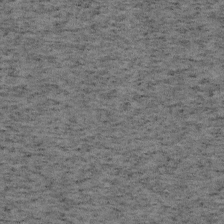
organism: Mouse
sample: OT-I killer T cells with ID8 ovarian cancer cells